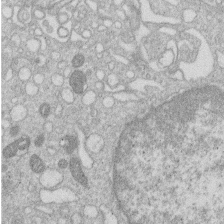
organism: Human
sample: Macrophage cells